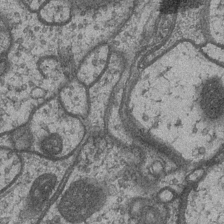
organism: Drosophila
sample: Optic medulla